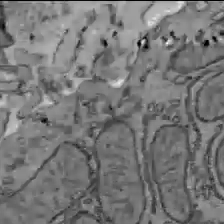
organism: C57BL Mouse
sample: Liver